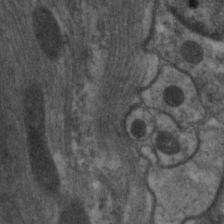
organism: C. elegans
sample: Pharynx